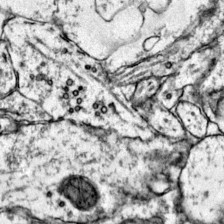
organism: Mouse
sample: Primary visual cortex